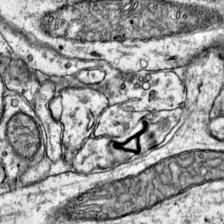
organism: Mouse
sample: Primary visual cortex